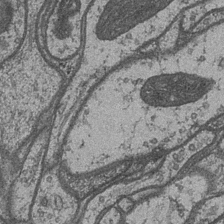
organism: Drosophila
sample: Optic medulla